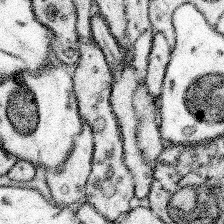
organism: Mouse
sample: Somatosensory cortex neuropil